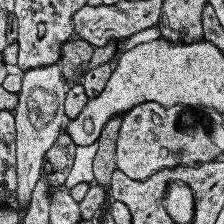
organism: Human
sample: Temporal Lobe